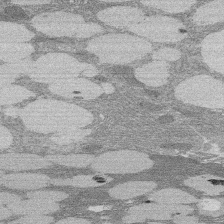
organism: Rat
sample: Salivary granule